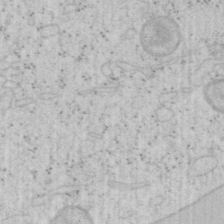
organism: Human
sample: HeLa cells